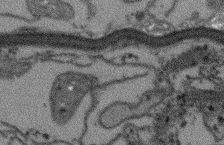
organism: Arabidopsis thaliana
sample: Root tip